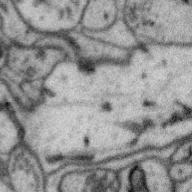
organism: Zebra finch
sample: Brain